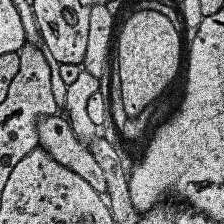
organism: Human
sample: Temporal Lobe